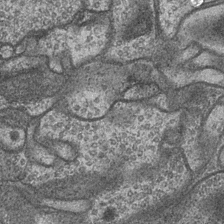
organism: Drosophila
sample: Optic medulla